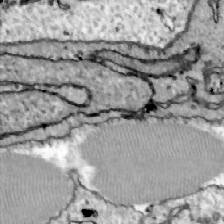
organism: Zebrafish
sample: Actinotrichia fibers